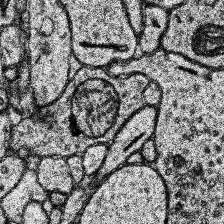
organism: Human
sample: Temporal Lobe